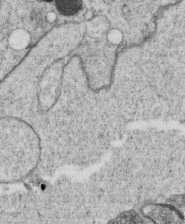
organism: C. elegans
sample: C. elegans oocyte; sperm cells